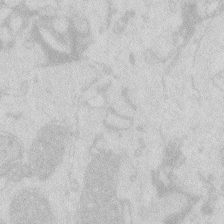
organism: Zebrafish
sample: Macrophage